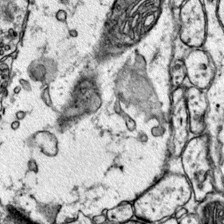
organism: Mouse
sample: Primary visual cortex